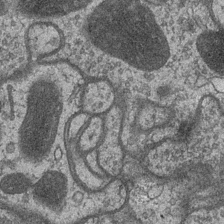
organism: Drosophila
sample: Optic medulla